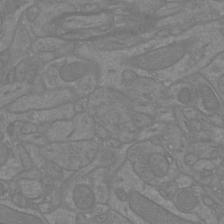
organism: Mouse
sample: Cortical neurons